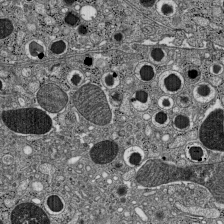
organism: C57BL Mouse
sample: Pancreatic islet